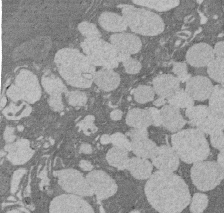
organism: Rat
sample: Salivary granule